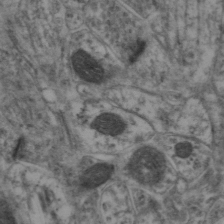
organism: Mouse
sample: Neocortex